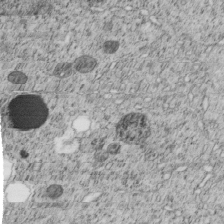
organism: C. elegans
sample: C. elegans embryo early stage